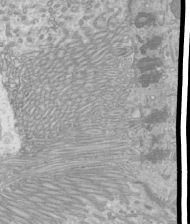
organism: Mouse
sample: Cilia; mouse epididymis